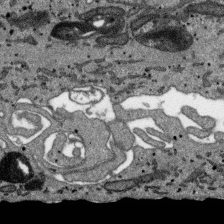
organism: Human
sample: Lung epithelial cells, uninfected (mock) control